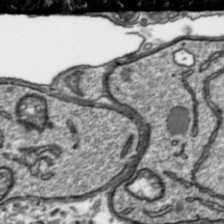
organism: Toxoplasma gondii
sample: Parasites in a vacuole inside a host cell